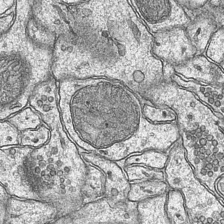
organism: Mouse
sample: CA1 Hippocampus